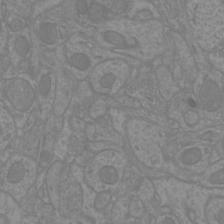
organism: Mouse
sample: Cortical neurons